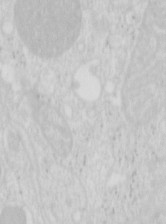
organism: Mouse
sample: Pancreas